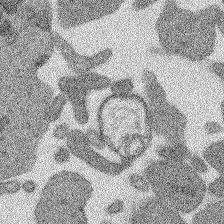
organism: Human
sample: HeLa cells